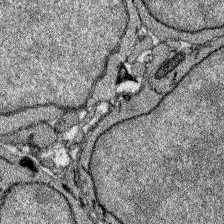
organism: Zebrafish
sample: Larval olfactory bulb